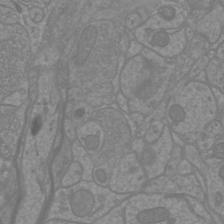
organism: Mouse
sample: Cortical neurons